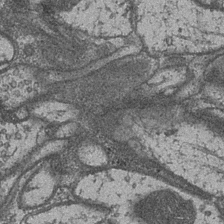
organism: Drosophila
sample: Optic medulla